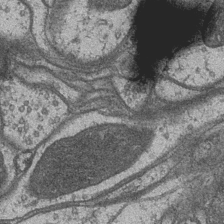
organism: Drosophila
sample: Optic medulla